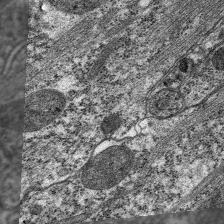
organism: C. elegans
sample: Pharynx